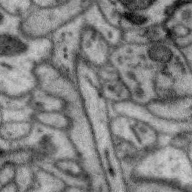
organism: Zebra finch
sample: Brain